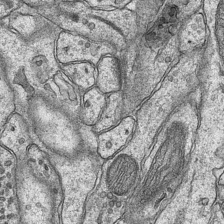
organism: Mouse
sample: CA1 Hippocampus